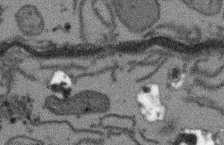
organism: Arabidopsis thaliana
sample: Root tip